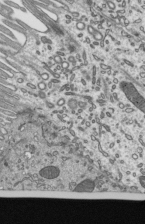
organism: Mouse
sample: Mouse epididymis efferent ductule cilia